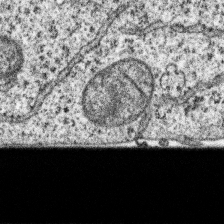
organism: Human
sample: HeLa cells